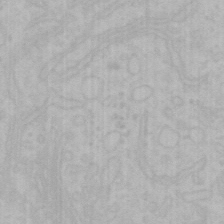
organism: Mouse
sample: Choroid plexus